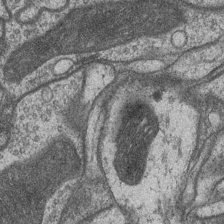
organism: Drosophila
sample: Optic medulla